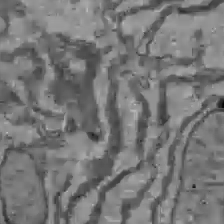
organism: C57BL Mouse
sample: Liver